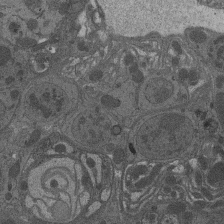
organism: Drosophila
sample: Antenna